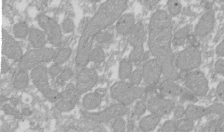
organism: Xenopus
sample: Cilia; centrioles in frog embryo cells